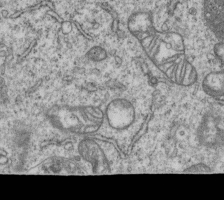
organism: Human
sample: MDA-MB-231 cells